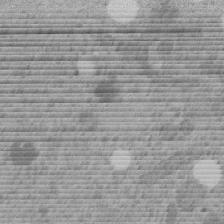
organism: C. elegans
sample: C. elegans embryo early stage